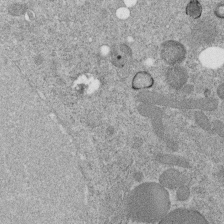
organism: C. elegans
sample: C. elegans embryo early stage